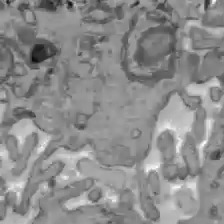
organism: C57BL Mouse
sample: Liver